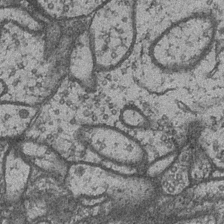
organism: Drosophila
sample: Optic medulla